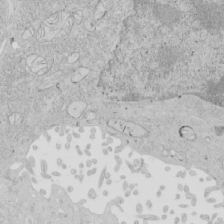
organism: Human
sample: Mitochondria in HCT116 cells